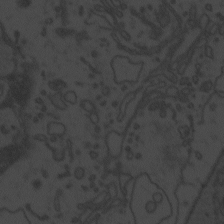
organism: Zebrafish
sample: Macrophage infected with Toxoplasma gondii